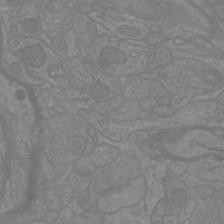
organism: Mouse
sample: Cortical neurons